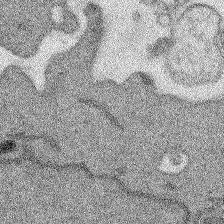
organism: Human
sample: HeLa cells